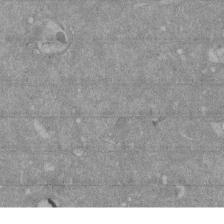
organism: Mouse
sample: ED-1 cell nuclei; centrioles